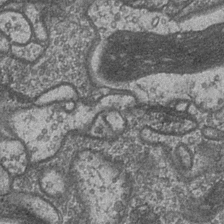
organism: Drosophila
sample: Optic medulla